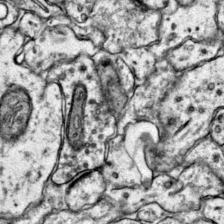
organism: Mouse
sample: Primary visual cortex